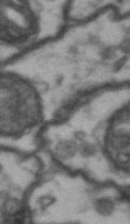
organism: Drosophila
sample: Brain